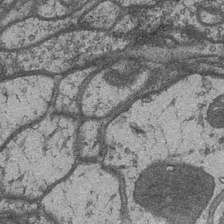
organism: Drosophila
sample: Optic medulla